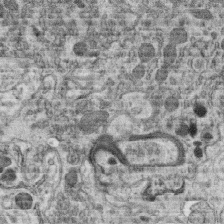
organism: C. elegans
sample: C. elegans oocyte; sperm cells